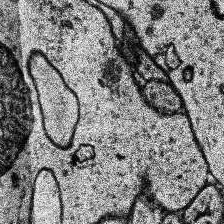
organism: Human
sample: Temporal Lobe